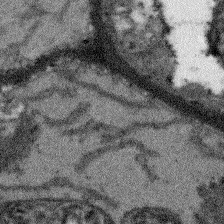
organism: Arabidopsis thaliana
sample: Root tip